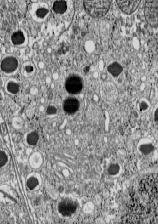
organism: C57BL Mouse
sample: Pancreatic islet